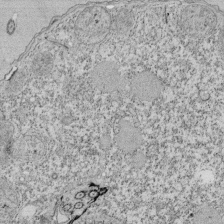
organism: Tetrahymena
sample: Cilia in tetrahymena